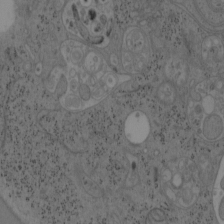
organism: Mouse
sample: OT-I killer T cells with ID8 ovarian cancer cells